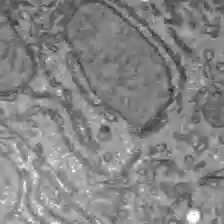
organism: C57BL Mouse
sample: Liver